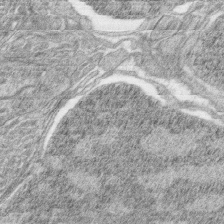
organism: Zebrafish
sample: synaptic ribbons in rod cells and cone cells